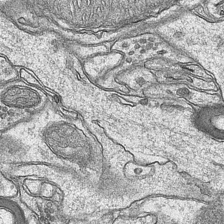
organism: Mouse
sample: CA1 Hippocampus